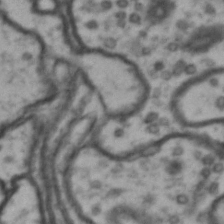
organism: Drosophila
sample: Brain